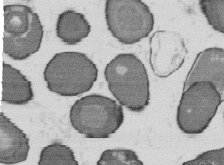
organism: B. subtilis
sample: Bacterial spore